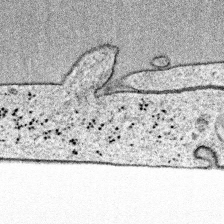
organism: Human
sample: HeLa cells